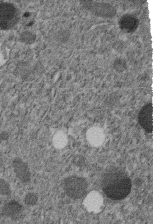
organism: C. elegans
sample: C. elegans embryo early stage